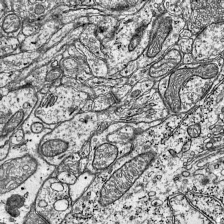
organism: Mouse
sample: Visual Cortex